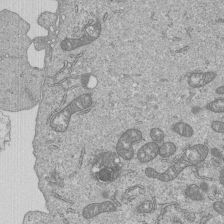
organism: Human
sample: MDA-MB-231 cells